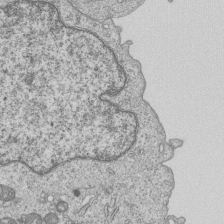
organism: Human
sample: MDA-MB-231 cells